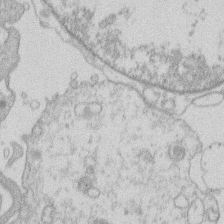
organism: Human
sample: Macrophage cells